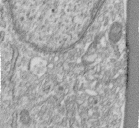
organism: Human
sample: Centriole in fibroblast cells